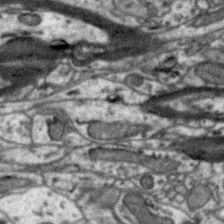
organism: Zebra finch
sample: Brain